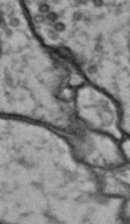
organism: Drosophila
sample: Brain